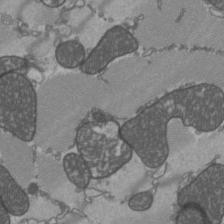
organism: C57BL Mouse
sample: Heart